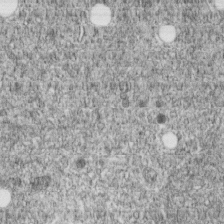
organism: C. elegans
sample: C. elegans embryo early stage